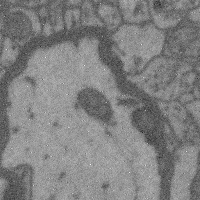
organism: Mouse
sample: Cerebral cortex